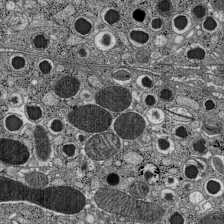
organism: C57BL Mouse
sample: Pancreatic islet